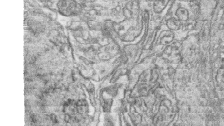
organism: Zebrafish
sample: synaptic ribbons in rod cells and cone cells